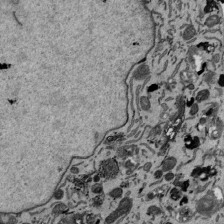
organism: Mouse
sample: ED-1 cell nuclei; centrioles